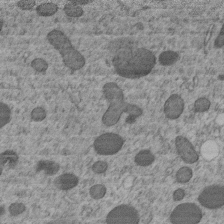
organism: C. elegans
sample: C. elegans embryo early stage